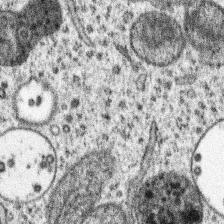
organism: Human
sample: HeLa cells